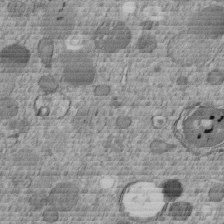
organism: C. elegans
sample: C. elegans embryo early stage